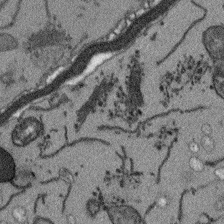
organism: Arabidopsis thaliana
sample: Root tip